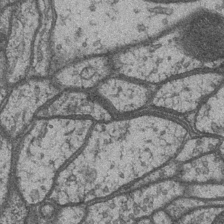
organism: Drosophila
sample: Optic medulla